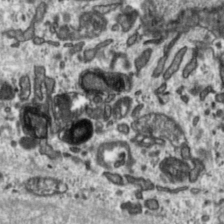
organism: Toxoplasma gondii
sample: Parasites in a vacuole inside a host cell